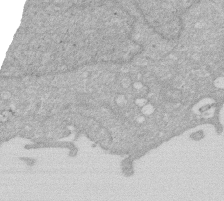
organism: Human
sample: HIV infected U937 cells